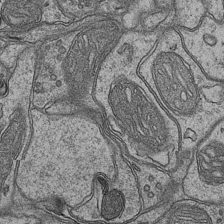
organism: Mouse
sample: CA1 Hippocampus